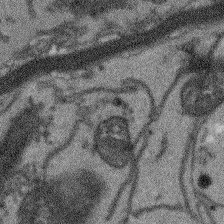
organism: Arabidopsis thaliana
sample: Root tip